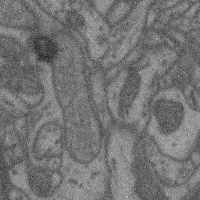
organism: Mouse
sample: Cerebral cortex